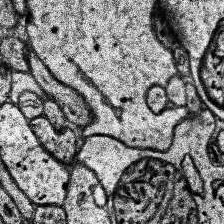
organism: Human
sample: Temporal Lobe